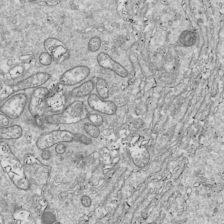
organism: Drosophila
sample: Cell division; meiosis; drosophila spermatocytes